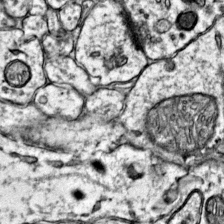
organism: Mouse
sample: Primary visual cortex